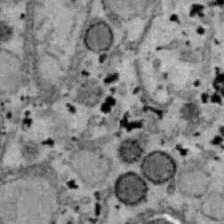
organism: Mouse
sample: Liver from an obese (ob/ob) mouse